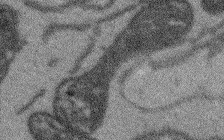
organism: Arabidopsis thaliana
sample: Root tip